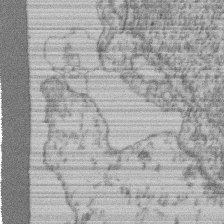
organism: Mouse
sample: T cell stromal cell synapse